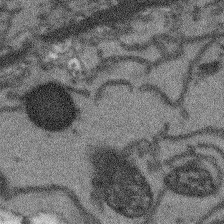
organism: Arabidopsis thaliana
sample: Root tip